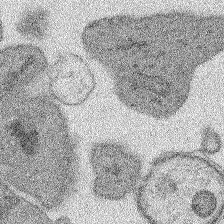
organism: Human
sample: HeLa cells